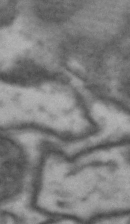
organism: Drosophila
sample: Brain